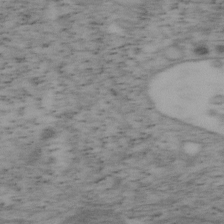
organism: Mouse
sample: OT-I killer T cells with ID8 ovarian cancer cells